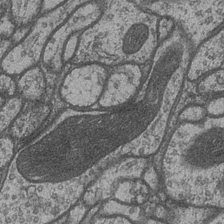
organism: Drosophila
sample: Optic medulla